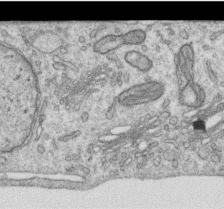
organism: Human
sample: Centriole in RPE cells